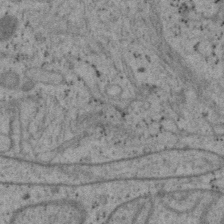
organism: Human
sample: HeLa cells